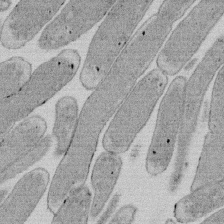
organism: E. coli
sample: Bacterial nucleoid